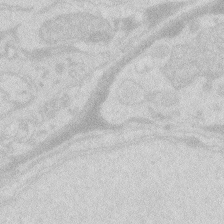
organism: Zebrafish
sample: Macrophage